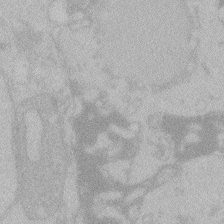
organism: Zebrafish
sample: Macrophage infected with Toxoplasma gondii